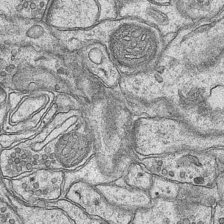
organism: Mouse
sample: CA1 Hippocampus